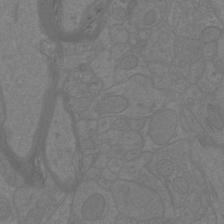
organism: Mouse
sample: Cortical neurons